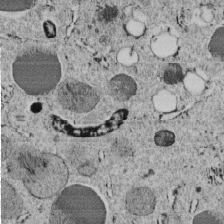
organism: C. elegans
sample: C. elegans embryo early stage